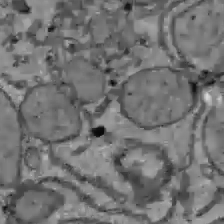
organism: C57BL Mouse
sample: Liver